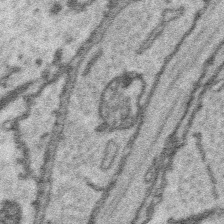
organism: Platynereis dumerilii